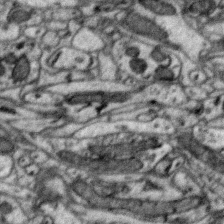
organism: Zebra finch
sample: Brain